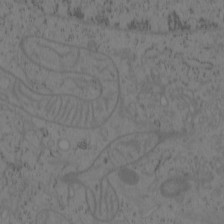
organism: Human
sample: HeLa cells